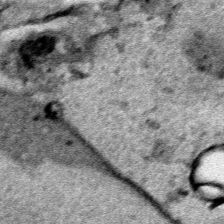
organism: Human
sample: Mitochondria in HCT116 cells